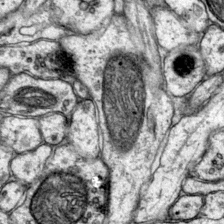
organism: Mouse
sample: Primary visual cortex